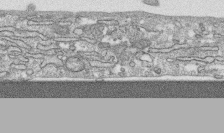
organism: Human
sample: CRL-1474